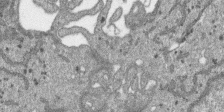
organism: Human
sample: Lung epithelial cells infected with SARS-CoV-2